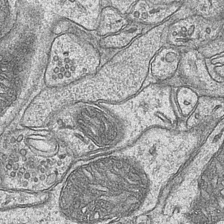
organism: Mouse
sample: CA1 Hippocampus